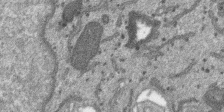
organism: Human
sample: Lung epithelial cells infected with SARS-CoV-2